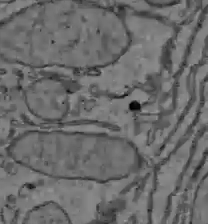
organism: C57BL Mouse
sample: Liver